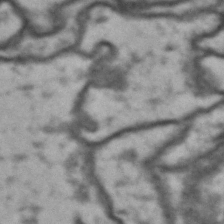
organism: Drosophila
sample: Brain